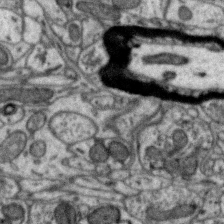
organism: Zebra finch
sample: Brain